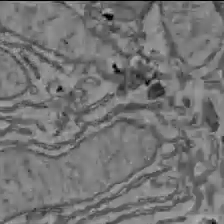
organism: C57BL Mouse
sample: Liver